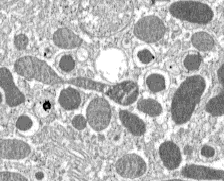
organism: C57BL Mouse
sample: Pancreatic islet